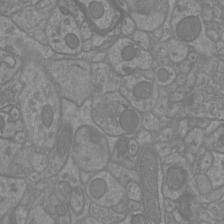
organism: Mouse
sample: Cortical neurons